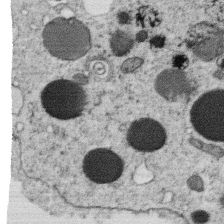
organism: C. elegans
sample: C. elegans oocyte; sperm cells